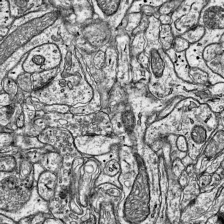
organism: Mouse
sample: Visual Cortex